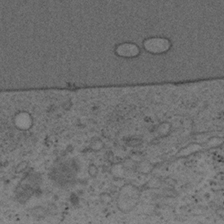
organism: Human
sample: HeLa cells